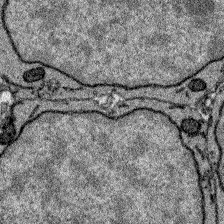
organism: Zebrafish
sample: Larval olfactory bulb